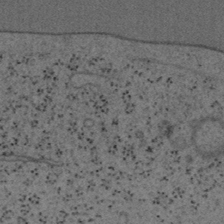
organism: Human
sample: HeLa cells